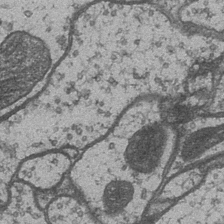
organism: Drosophila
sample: Optic medulla